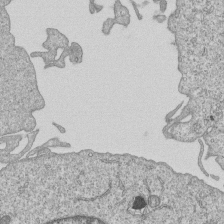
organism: Human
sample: MDA-MB-231 cells